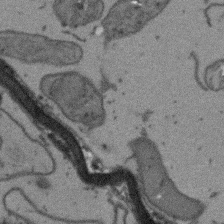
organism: Arabidopsis thaliana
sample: Root tip